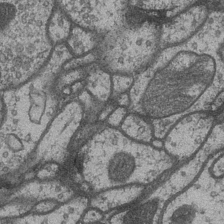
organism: Drosophila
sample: Optic medulla